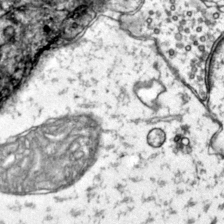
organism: Mouse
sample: Primary visual cortex